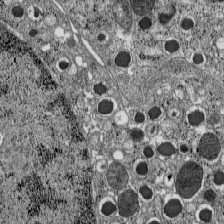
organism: C57BL Mouse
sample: Pancreatic islet